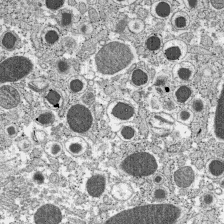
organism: C57BL Mouse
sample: Pancreatic islet